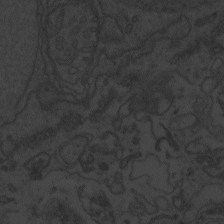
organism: Zebrafish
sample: Macrophage infected with Toxoplasma gondii